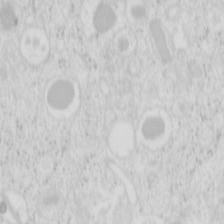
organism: Mouse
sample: Pancreas